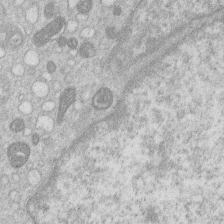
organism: Human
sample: Macrophage cells